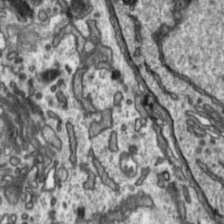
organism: Toxoplasma gondii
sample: Parasites in a vacuole inside a host cell